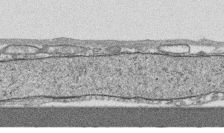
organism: Human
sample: CRL-1474